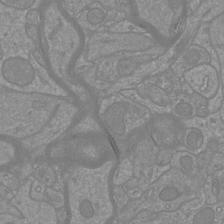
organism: Mouse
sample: Cortical neurons